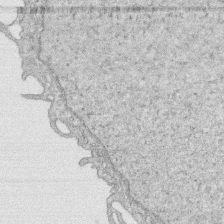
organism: Human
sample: HeLa cell HIV synapse